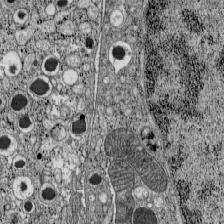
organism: C57BL Mouse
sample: Pancreatic islet